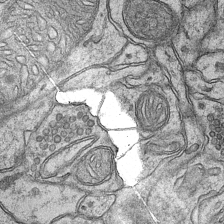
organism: Mouse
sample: CA1 Hippocampus